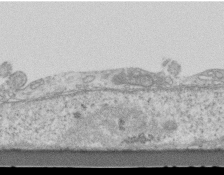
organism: Mouse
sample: Centriole in ependymal cells